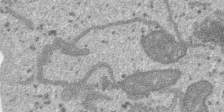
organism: Human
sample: Lung epithelial cells infected with SARS-CoV-2